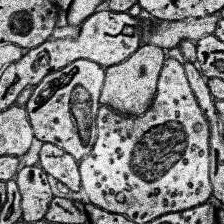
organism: Human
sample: Temporal Lobe